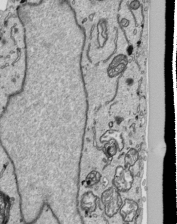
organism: Human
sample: Mitochondria in HCT116 cells